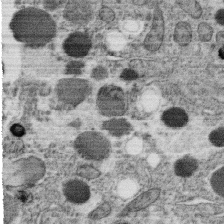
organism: C. elegans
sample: C. elegans oocyte; sperm cells